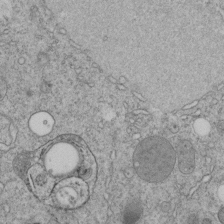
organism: C. elegans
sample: C. elegans embryo early stage